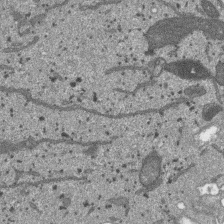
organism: Human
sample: Lung epithelial cells infected with SARS-CoV-2